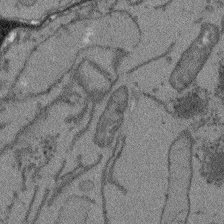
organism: Arabidopsis thaliana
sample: Root tip